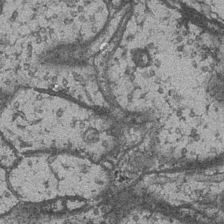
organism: Drosophila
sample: Optic medulla